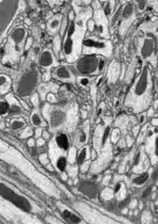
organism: Drosophila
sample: Optic lobe